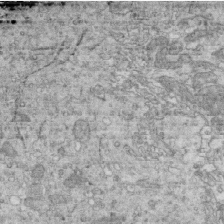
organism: Mouse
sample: Multiciliated cells